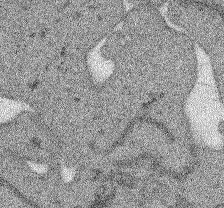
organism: Human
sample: HeLa cells